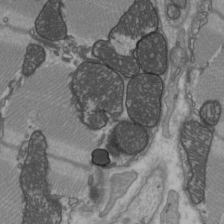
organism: C57BL Mouse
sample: Heart